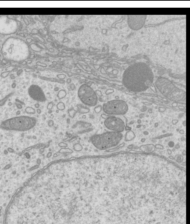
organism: Mouse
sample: Cilia; mouse epididymis